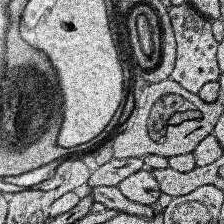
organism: Human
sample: Temporal Lobe